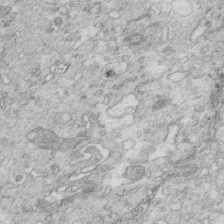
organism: Mouse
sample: Multiciliated cells